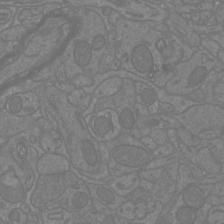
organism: Mouse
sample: Cortical neurons